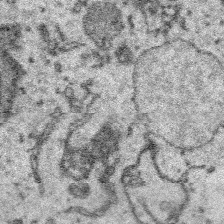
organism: Platynereis dumerilii